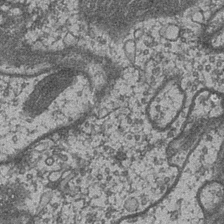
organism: Drosophila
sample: Optic medulla